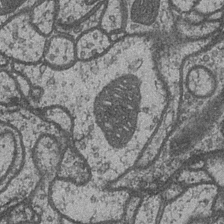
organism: Drosophila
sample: Optic medulla